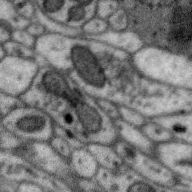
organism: Zebra finch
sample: Brain